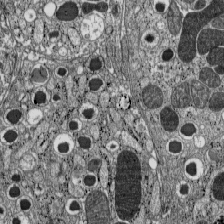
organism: C57BL Mouse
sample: Pancreatic islet